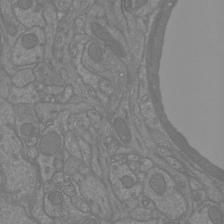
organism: Mouse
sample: Cortical neurons